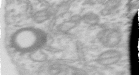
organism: Human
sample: Centriole in RPE cells